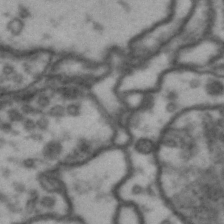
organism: Drosophila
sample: Brain